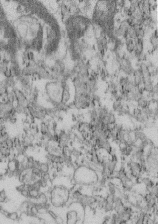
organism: Mouse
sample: Cilia; retinal pigment epithelium